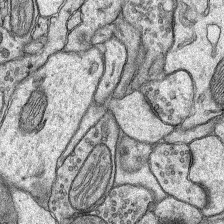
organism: Rat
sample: Hippocampus